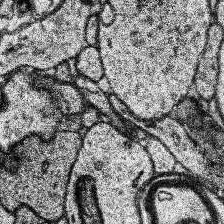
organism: Human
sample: Temporal Lobe